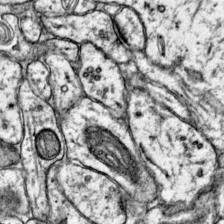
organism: Mouse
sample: Primary visual cortex